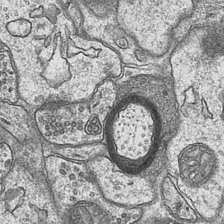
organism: Mouse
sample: CA1 Hippocampus